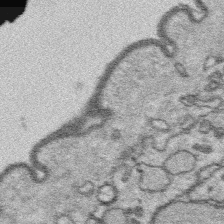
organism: Platynereis dumerilii